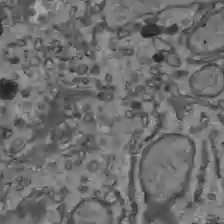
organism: C57BL Mouse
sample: Liver